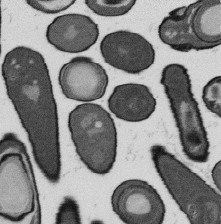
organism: B. subtilis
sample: Bacterial spore